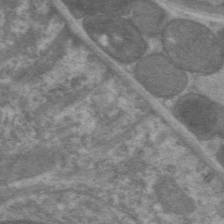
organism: C. elegans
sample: Pharynx